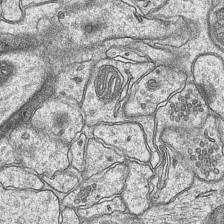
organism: Mouse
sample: CA1 Hippocampus